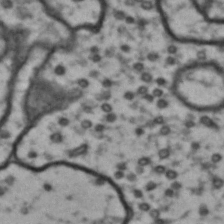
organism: Drosophila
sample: Brain